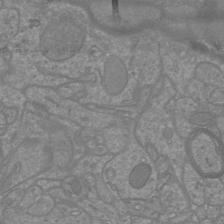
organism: Mouse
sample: Cortical neurons